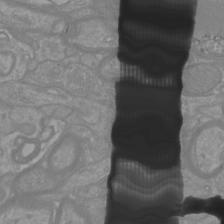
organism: Mouse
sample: Cortical neurons